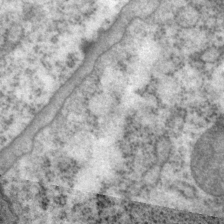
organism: P. pacificus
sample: Pharynx